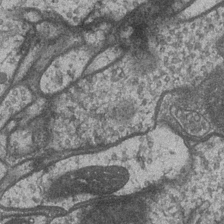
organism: Drosophila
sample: Optic medulla